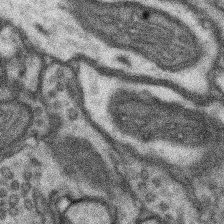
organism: Mouse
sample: Somatosensory cortex neuropil